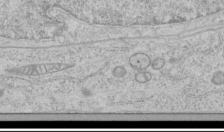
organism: Human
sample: Mitochondria in HCT116 cells